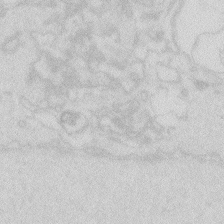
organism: Zebrafish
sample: Macrophage